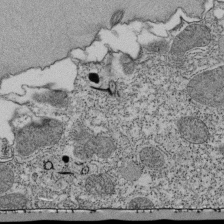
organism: Tetrahymena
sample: Cilia in tetrahymena